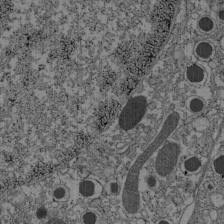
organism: C57BL Mouse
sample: Pancreatic islet